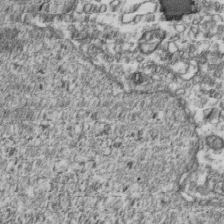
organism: Human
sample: Activated Jurkat CD4+ T cells